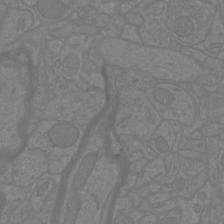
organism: Mouse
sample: Cortical neurons